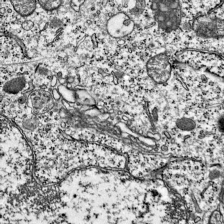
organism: Mouse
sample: Visual Cortex